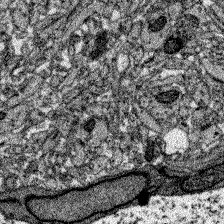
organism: Zebrafish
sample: Larval olfactory bulb